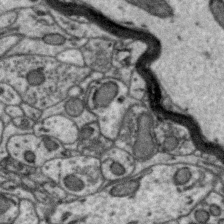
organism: Zebra finch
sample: Brain